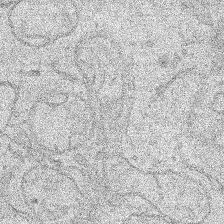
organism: Human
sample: Mitochondria in HCT116 cells